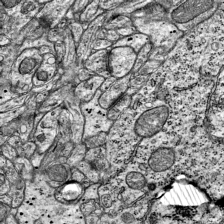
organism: Mouse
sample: Visual Cortex